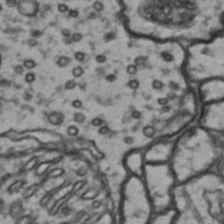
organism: Drosophila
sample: Brain